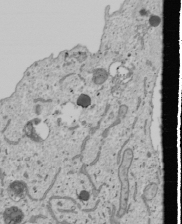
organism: Human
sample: Mitochondria in U2OS cells